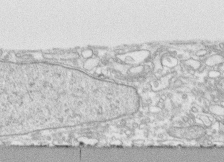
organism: Human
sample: CRL-1474